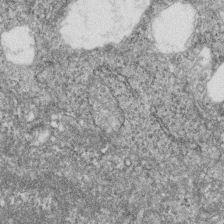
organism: Zebrafish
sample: Cilia; retinal pigment epithelium